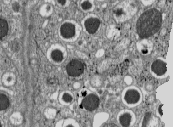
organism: C57BL Mouse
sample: Pancreatic islet